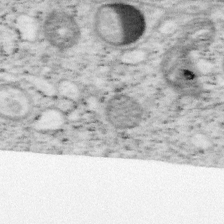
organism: Mouse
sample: OT-I killer T cells with ID8 ovarian cancer cells